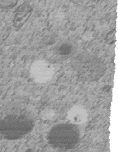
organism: C. elegans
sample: C. elegans embryo early stage